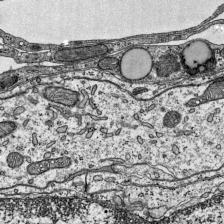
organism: Mouse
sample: Visual Cortex